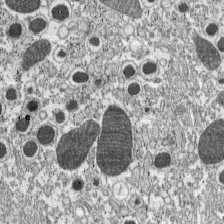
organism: C57BL Mouse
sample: Pancreatic islet